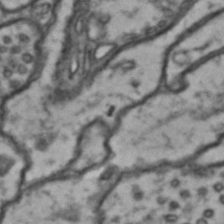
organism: Drosophila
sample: Brain